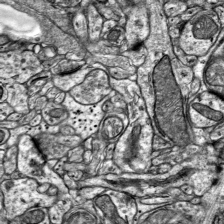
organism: Mouse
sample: Visual Cortex